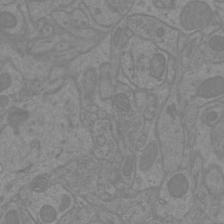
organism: Mouse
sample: Cortical neurons